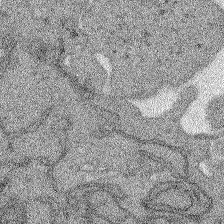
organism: Human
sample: HeLa cells